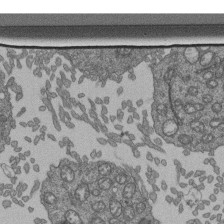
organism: Human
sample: Retinal organoid Rod and Cone cells